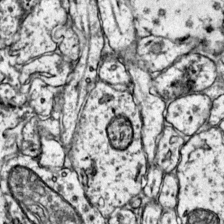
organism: Mouse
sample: Primary visual cortex